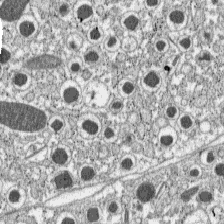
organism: C57BL Mouse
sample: Pancreatic islet